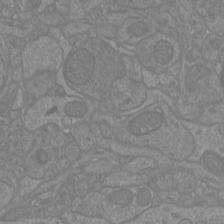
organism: Mouse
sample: Cortical neurons